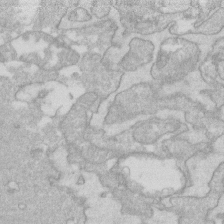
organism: Human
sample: Fibroblast cells